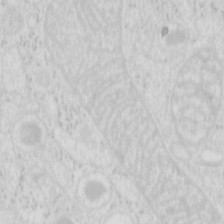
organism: Mouse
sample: Pancreas